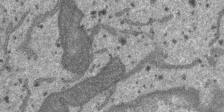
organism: Human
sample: Lung epithelial cells infected with SARS-CoV-2